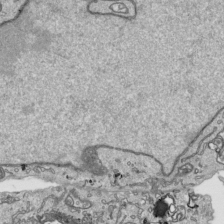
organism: Human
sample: Mitochondria in HCT116 cells